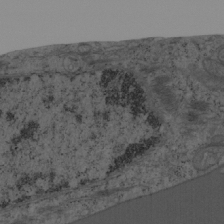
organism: Human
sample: HeLa cells